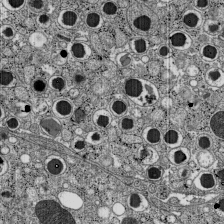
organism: C57BL Mouse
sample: Pancreatic islet